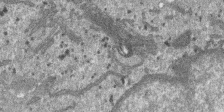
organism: Human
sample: Lung epithelial cells infected with SARS-CoV-2